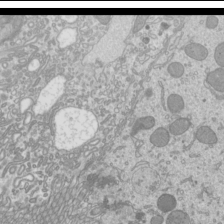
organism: Mouse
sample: Cilia; mouse epididymis